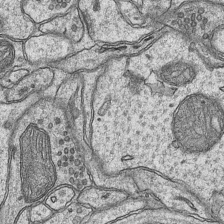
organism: Mouse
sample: CA1 Hippocampus